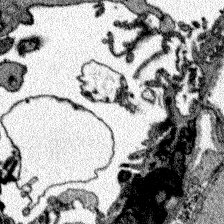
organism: Zebrafish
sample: Larval olfactory bulb